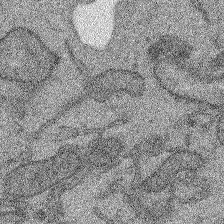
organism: Human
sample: HeLa cells